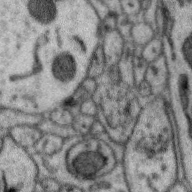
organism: Zebra finch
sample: Brain